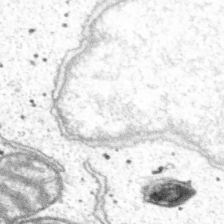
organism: Human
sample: HeLa cells